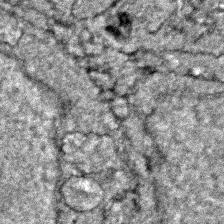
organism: Zebrafish